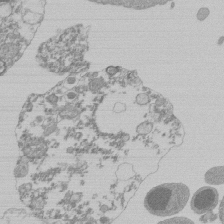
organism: Mouse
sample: Activated Pmel transgenic CD8+ T Cells